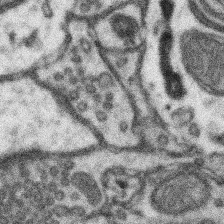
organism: Mouse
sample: Somatosensory cortex neuropil